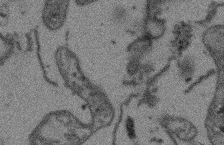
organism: Arabidopsis thaliana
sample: Root tip